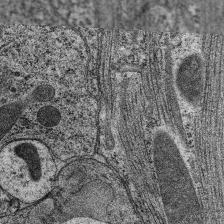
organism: C. elegans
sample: Pharynx